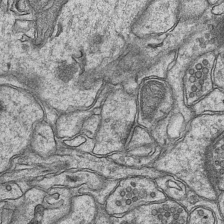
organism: Mouse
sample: CA1 Hippocampus